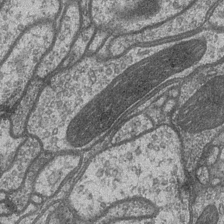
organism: Drosophila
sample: Optic medulla